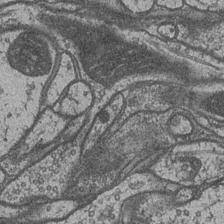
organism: Drosophila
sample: Optic medulla